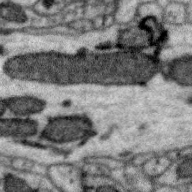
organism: Zebra finch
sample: Brain